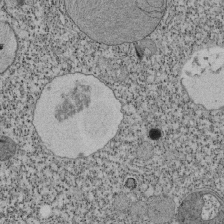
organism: Tetrahymena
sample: Cilia in tetrahymena